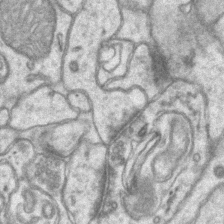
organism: Mouse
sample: CA1 Hippocampus